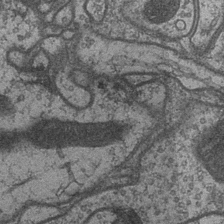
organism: Drosophila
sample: Optic medulla